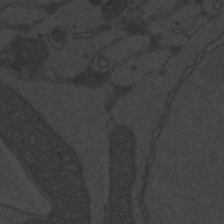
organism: Zebrafish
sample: Macrophage infected with Toxoplasma gondii